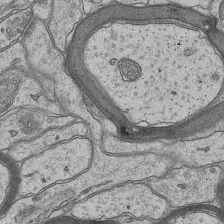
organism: Mouse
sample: CA1 Hippocampus